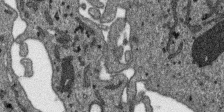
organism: Human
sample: Lung epithelial cells infected with SARS-CoV-2